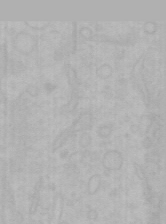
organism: Mouse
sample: Choroid plexus